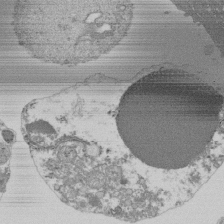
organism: Mouse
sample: Activated Pmel transgenic CD8+ T Cells